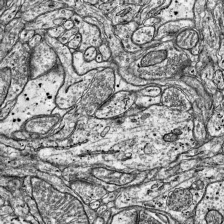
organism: Mouse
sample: Visual Cortex